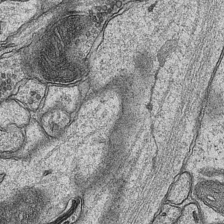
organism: Mouse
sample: CA1 Hippocampus